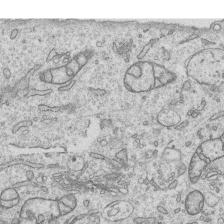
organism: Human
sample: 1205lu cells